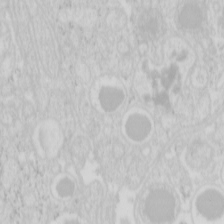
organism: Mouse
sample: Pancreas